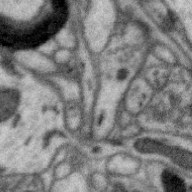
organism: Zebra finch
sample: Brain